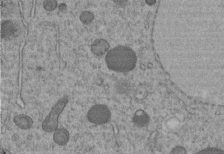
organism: C. elegans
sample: C. elegans embryo early stage